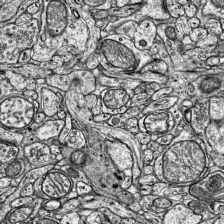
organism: Mouse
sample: Visual Cortex